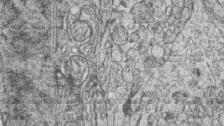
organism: Zebrafish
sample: synaptic ribbons in rod cells and cone cells